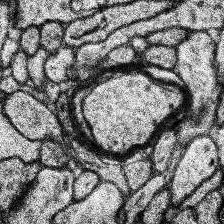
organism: Human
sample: Temporal Lobe